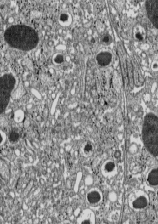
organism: C57BL Mouse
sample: Pancreatic islet